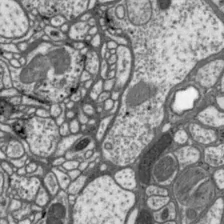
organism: Drosophila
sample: Protocerebral bridge